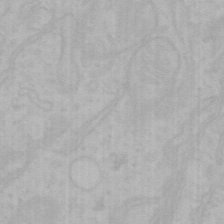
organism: Mouse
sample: Choroid plexus